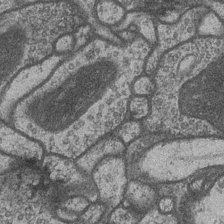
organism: Drosophila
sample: Optic medulla